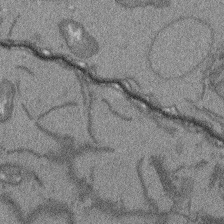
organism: Arabidopsis thaliana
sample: Root tip